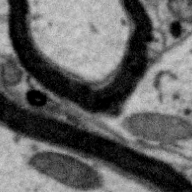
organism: Zebra finch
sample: Brain